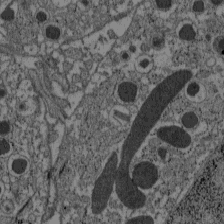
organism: C57BL Mouse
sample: Pancreatic islet